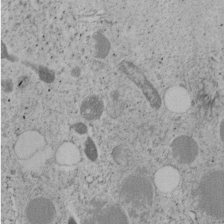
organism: C. elegans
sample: C. elegans embryo early stage